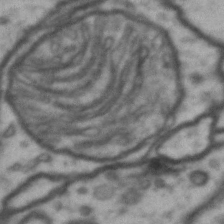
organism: Drosophila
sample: Brain